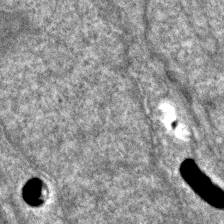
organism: Zebrafish